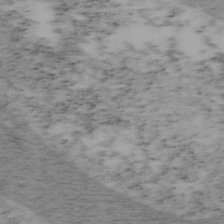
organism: Mouse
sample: OT-I killer T cells with ID8 ovarian cancer cells